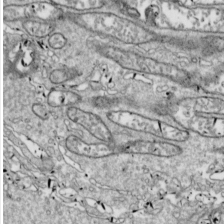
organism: Drosophila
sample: Cell division; meiosis; drosophila spermatocytes